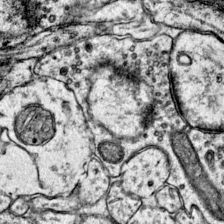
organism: Mouse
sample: Primary visual cortex